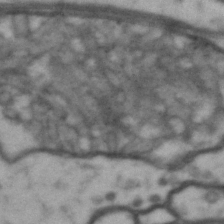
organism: Drosophila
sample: Brain